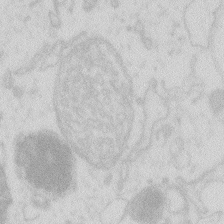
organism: Zebrafish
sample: Macrophage